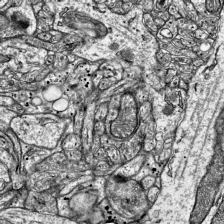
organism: Mouse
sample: Visual Cortex